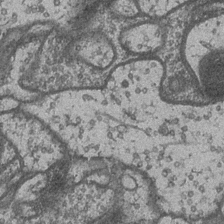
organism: Drosophila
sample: Optic medulla